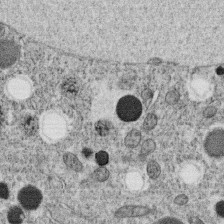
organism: C. elegans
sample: C. elegans oocyte; sperm cells